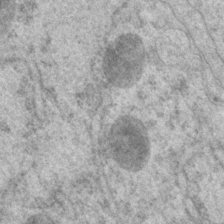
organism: P. pacificus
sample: Pharynx